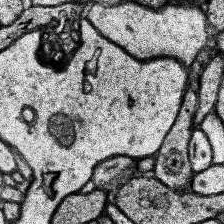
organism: Human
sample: Temporal Lobe